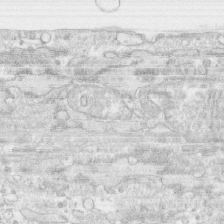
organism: Human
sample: CRL-1474